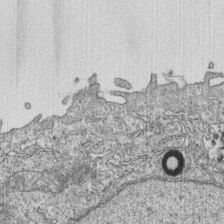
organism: Human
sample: HeLa cell HIV synapse